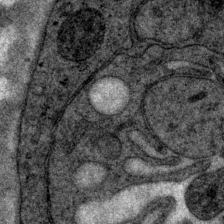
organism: P. pacificus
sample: Pharynx